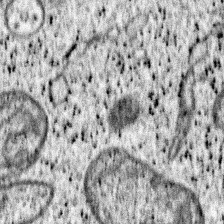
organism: Human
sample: HeLa cells